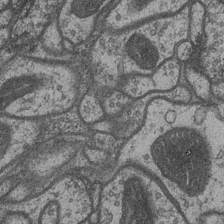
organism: Drosophila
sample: Optic medulla